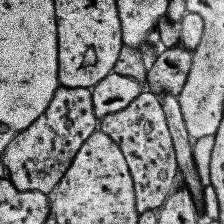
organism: Human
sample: Temporal Lobe